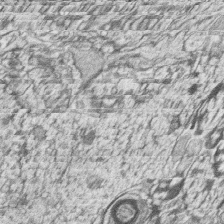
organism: Zebrafish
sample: synaptic ribbons in rod cells and cone cells